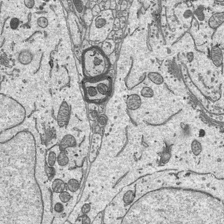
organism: Mouse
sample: Suprachiasmatic nucleus